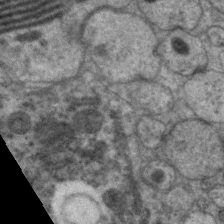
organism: C. elegans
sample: Pharynx